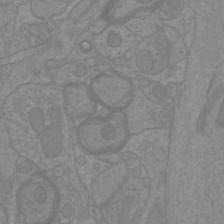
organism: Mouse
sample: Cortical neurons